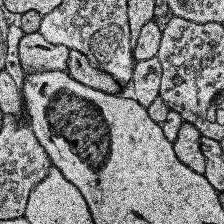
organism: Human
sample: Temporal Lobe